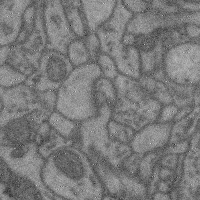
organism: Mouse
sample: Cerebral cortex